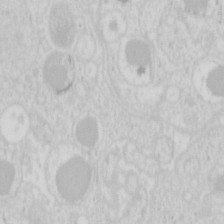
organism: Mouse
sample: Pancreas